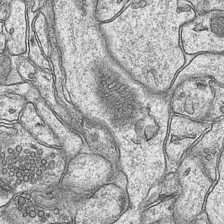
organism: Mouse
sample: CA1 Hippocampus